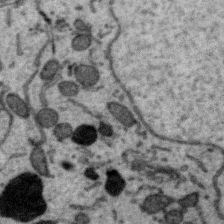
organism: Zebra finch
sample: Brain